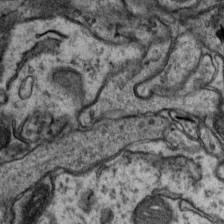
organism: Mouse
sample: CA1 Hippocampus